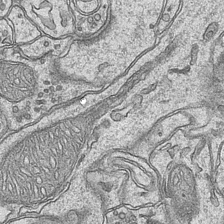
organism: Mouse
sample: CA1 Hippocampus